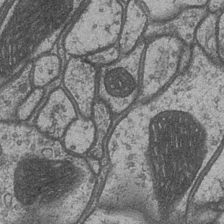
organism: Drosophila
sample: Optic medulla